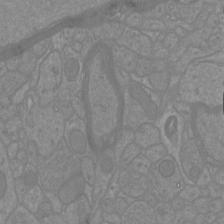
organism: Mouse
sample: Cortical neurons